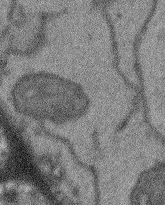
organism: Arabidopsis thaliana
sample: Root tip